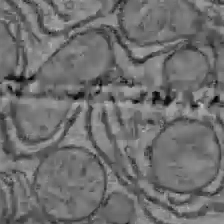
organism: C57BL Mouse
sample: Liver